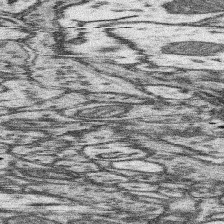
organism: Mouse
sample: Somatosensory cortex neuropil